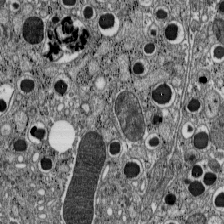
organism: C57BL Mouse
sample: Pancreatic islet